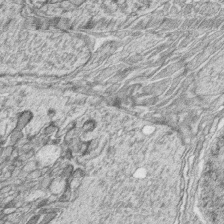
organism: Zebrafish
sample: synaptic ribbons in rod cells and cone cells